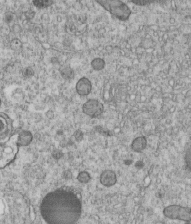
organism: C. elegans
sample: C. elegans embryo early stage